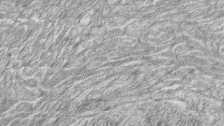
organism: Zebrafish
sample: synaptic ribbons in rod cells and cone cells